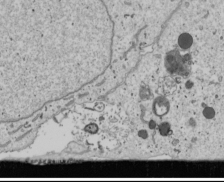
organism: Human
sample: Mitochondria in U2OS cells